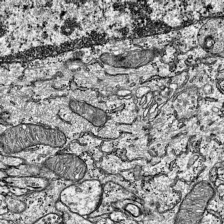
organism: Mouse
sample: Visual Cortex